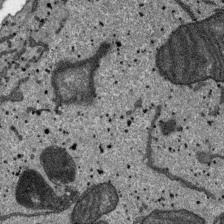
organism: Human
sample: Lung epithelial cells, uninfected (mock) control